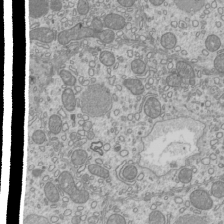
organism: Mouse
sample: Cilia; mouse epididymis